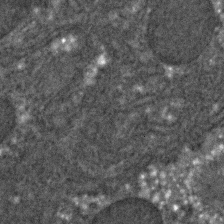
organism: C. elegans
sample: C. elegans embryo